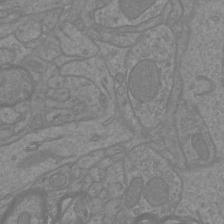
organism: Mouse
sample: Cortical neurons